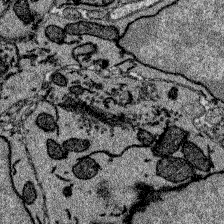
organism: Zebrafish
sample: Larval olfactory bulb